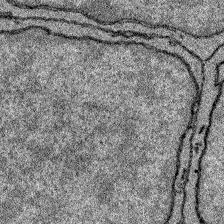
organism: Zebrafish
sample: Larval olfactory bulb